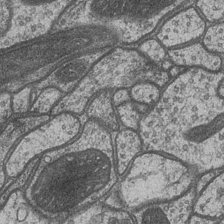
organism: Drosophila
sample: Optic medulla